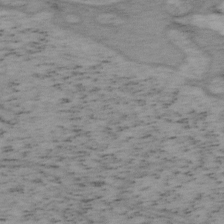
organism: Mouse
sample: OT-I killer T cells with ID8 ovarian cancer cells